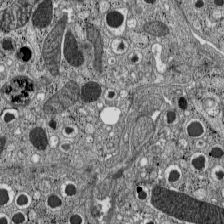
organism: C57BL Mouse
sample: Pancreatic islet